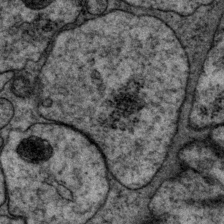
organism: P. pacificus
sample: Pharynx